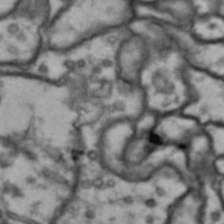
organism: Drosophila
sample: Brain